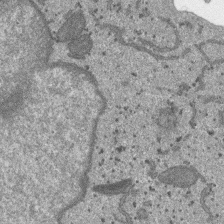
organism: Human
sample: Lung epithelial cells infected with SARS-CoV-2